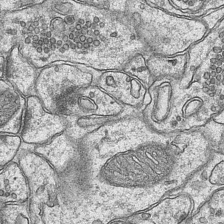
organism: Mouse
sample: CA1 Hippocampus